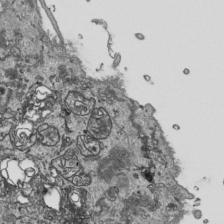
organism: Human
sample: Mitochondria in HCT116 cells